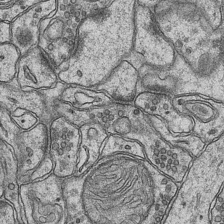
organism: Mouse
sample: CA1 Hippocampus